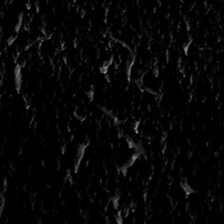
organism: Toxoplasma gondii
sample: Parasites in a vacuole inside a host cell